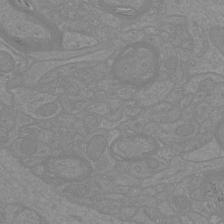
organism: Mouse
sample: Cortical neurons